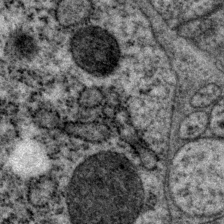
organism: P. pacificus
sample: Pharynx